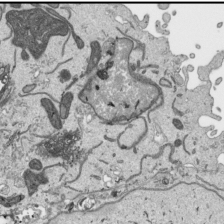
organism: Human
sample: Mitochondria in HCT116 cells